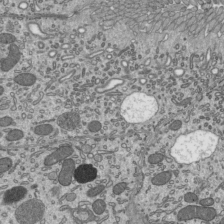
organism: Mouse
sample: Mouse epididymis efferent ductule cilia